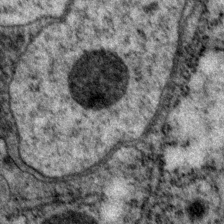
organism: P. pacificus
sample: Pharynx